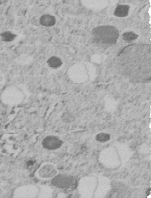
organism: C. elegans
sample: C. elegans embryo early stage